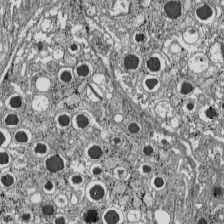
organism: C57BL Mouse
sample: Pancreatic islet